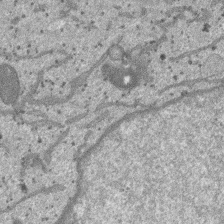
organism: Human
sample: Lung epithelial cells infected with SARS-CoV-2